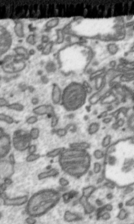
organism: Toxoplasma gondii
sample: Parasites in a vacuole inside a host cell